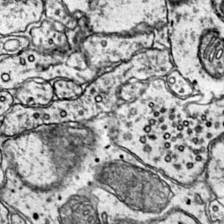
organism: Mouse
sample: Primary visual cortex